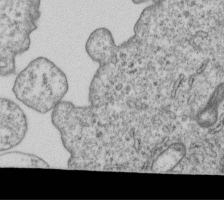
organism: Human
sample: MDA-MB-231 cells